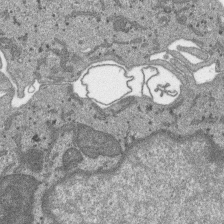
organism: Human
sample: Lung epithelial cells infected with SARS-CoV-2